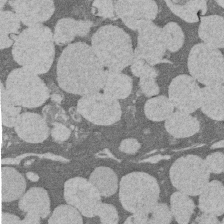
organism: Rat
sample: Salivary granule